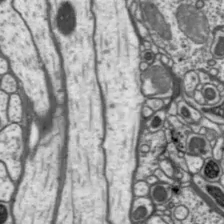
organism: Drosophila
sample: Protocerebral bridge